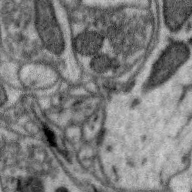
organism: Zebra finch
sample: Brain